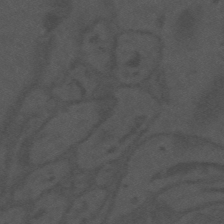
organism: Mouse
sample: Suprachiasmatic nucleus